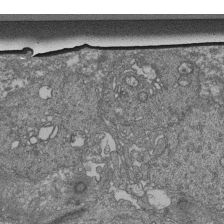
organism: Human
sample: Retinal organoid Rod and Cone cells